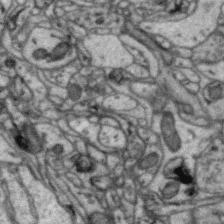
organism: Zebra finch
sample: Brain